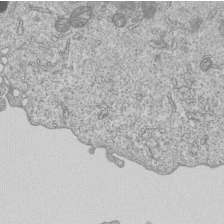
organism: Human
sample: MDA-MB-231 cells